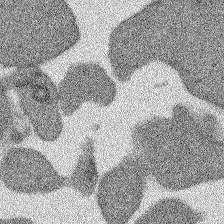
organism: Human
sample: HeLa cells